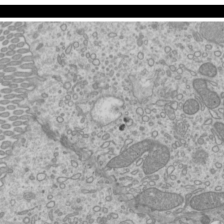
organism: Mouse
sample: Cilia; mouse epididymis